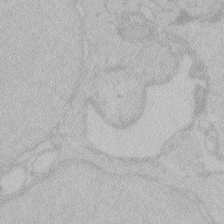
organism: Zebrafish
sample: Macrophage infected with Toxoplasma gondii